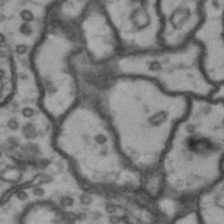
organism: Drosophila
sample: Brain